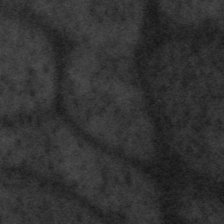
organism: Tuwongella immobilis